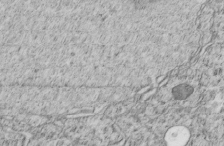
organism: C. elegans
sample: C. elegans embryo early stage